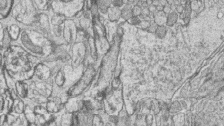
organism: Zebrafish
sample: synaptic ribbons in rod cells and cone cells